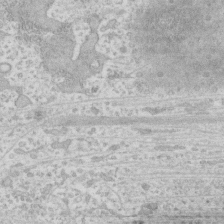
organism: Human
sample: Fibroblast cells